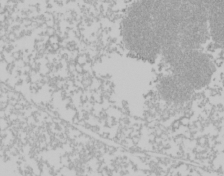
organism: Mouse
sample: Cancer cell death in ED-1 cells